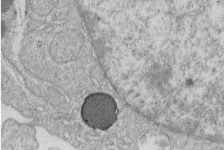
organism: Human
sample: Macrophage cells